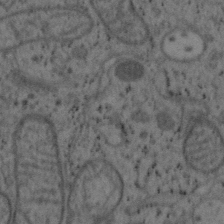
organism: Human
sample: HeLa cells